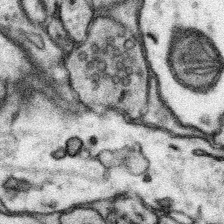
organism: Mouse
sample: Somatosensory cortex neuropil